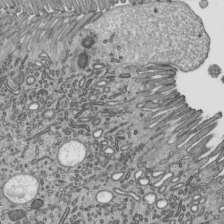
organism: Mouse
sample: Mouse epididymis efferent ductule cilia